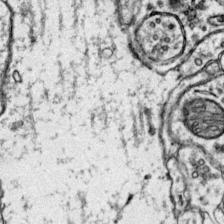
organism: Mouse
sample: Primary visual cortex